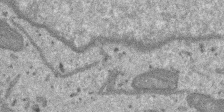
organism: Human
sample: Lung epithelial cells infected with SARS-CoV-2